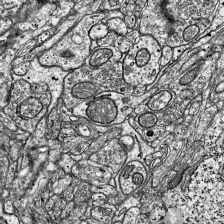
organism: Mouse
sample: Visual Cortex